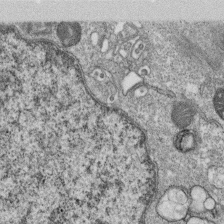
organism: African green monkey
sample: Vero E6 cells infected with SARS-CoV-2